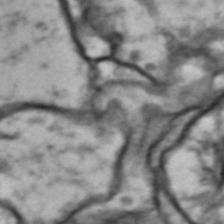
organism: Drosophila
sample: Brain